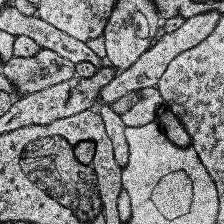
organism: Human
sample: Temporal Lobe